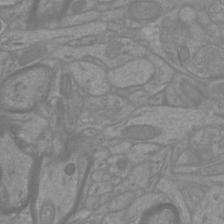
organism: Mouse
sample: Cortical neurons